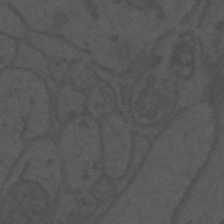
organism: Mouse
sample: Suprachiasmatic nucleus